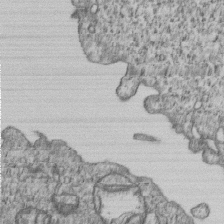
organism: Human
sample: MDA-MB-231 cells